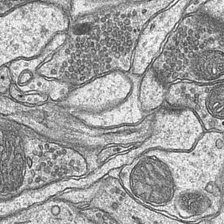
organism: Mouse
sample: CA1 Hippocampus